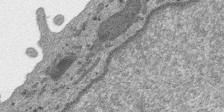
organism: Human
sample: Lung epithelial cells infected with SARS-CoV-2